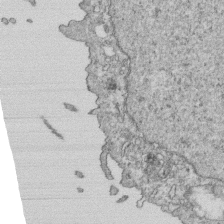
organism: Human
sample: HeLa cell HIV synapse